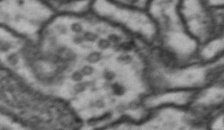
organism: Drosophila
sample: Brain